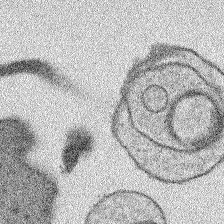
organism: Human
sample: HeLa cells